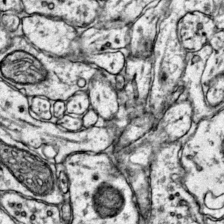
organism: Mouse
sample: Primary visual cortex